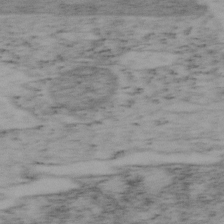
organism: Mouse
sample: OT-I killer T cells with ID8 ovarian cancer cells